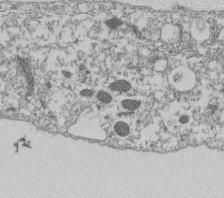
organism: Dictyostelium discoideum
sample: Dictyostelium multivesicular bodies